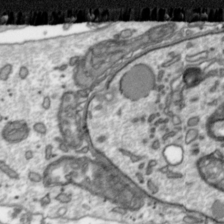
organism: Toxoplasma gondii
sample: Parasites in a vacuole inside a host cell